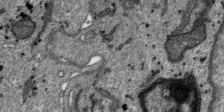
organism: Human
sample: Lung epithelial cells, uninfected (mock) control